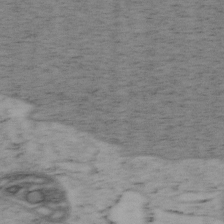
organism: Mouse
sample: OT-I killer T cells with ID8 ovarian cancer cells